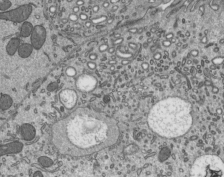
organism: Mouse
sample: Mouse epididymis efferent ductule cilia